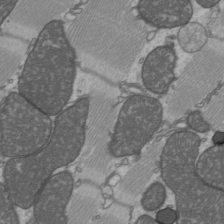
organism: C57BL Mouse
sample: Heart